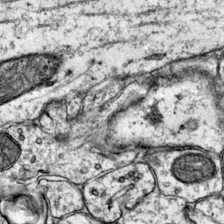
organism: Mouse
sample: Primary visual cortex